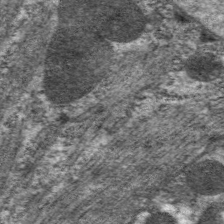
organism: C. elegans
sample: Pharynx